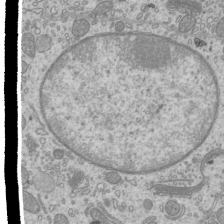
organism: Mouse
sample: Cilia; mouse epididymis